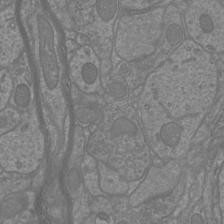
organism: Mouse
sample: Cortical neurons